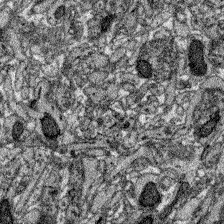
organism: Zebrafish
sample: Larval olfactory bulb